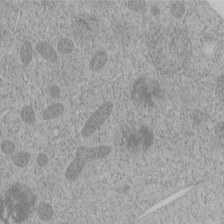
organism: C. elegans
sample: C. elegans embryo early stage